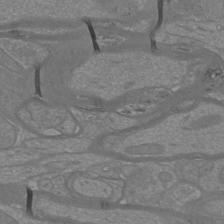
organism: Mouse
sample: Cortical neurons